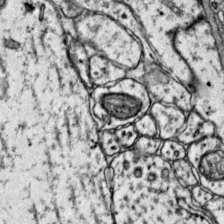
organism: Mouse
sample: Primary visual cortex